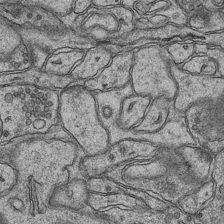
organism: Mouse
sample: CA1 Hippocampus